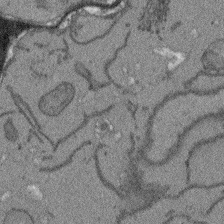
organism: Arabidopsis thaliana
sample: Root tip